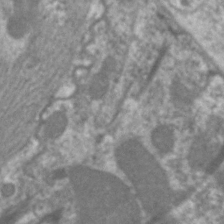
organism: C. elegans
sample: Pharynx